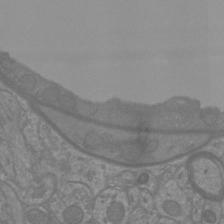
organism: Mouse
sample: Cortical neurons